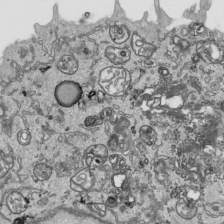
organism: Human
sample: Mitochondria in HCT116 cells